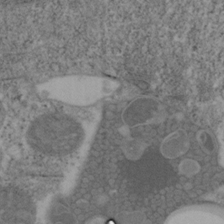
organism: Mouse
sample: OT-I killer T cells with ID8 ovarian cancer cells